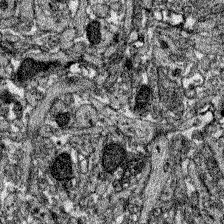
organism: Zebrafish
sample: Larval olfactory bulb